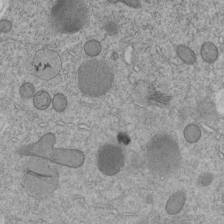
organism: C. elegans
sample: C. elegans embryo early stage